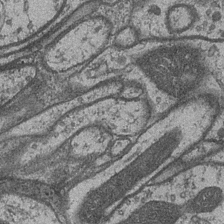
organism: Drosophila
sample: Optic medulla